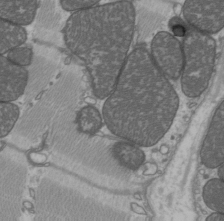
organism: C57BL Mouse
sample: Heart